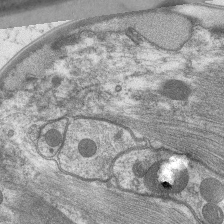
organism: C. elegans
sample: Pharynx